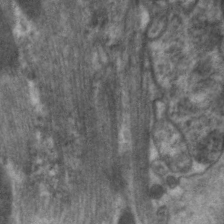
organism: C. elegans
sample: Pharynx